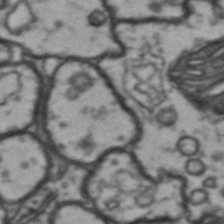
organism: Drosophila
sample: Brain